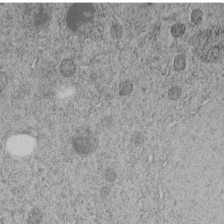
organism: C. elegans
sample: C. elegans embryo early stage